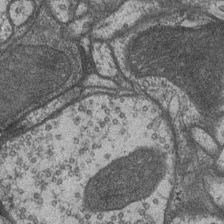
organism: Drosophila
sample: Optic medulla